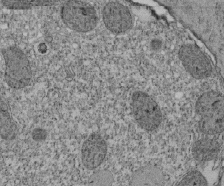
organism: Tetrahymena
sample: Cilia in tetrahymena